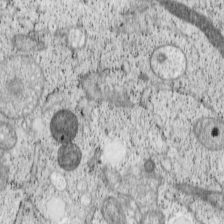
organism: African green monkey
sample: COS-7 cells